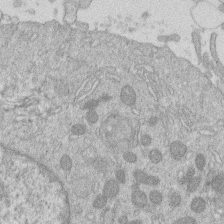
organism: Human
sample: Macrophage cells